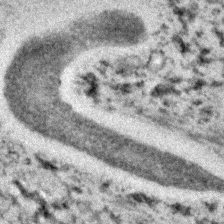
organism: C. elegans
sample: C. elegans embryo